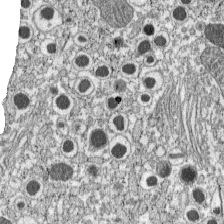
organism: C57BL Mouse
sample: Pancreatic islet